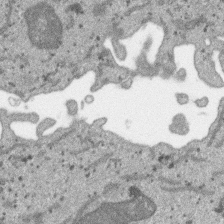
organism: Human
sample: Lung epithelial cells infected with SARS-CoV-2